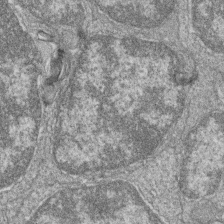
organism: Zebrafish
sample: Cilia; retinal pigment epithelium